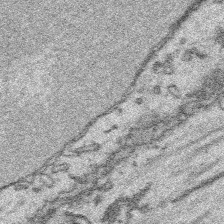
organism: Platynereis dumerilii